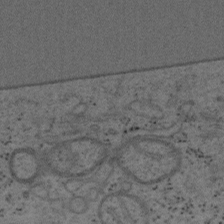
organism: Human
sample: HeLa cells